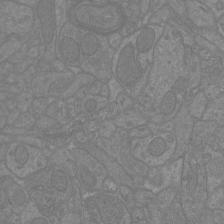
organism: Mouse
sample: Cortical neurons